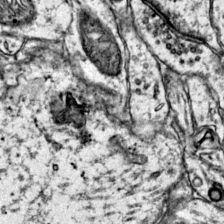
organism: Mouse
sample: Primary visual cortex